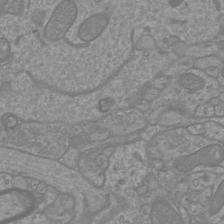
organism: Mouse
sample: Cortical neurons